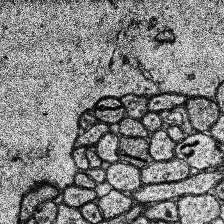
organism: Human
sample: Temporal Lobe